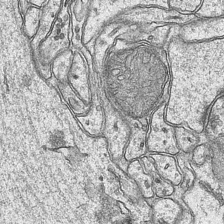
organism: Mouse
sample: CA1 Hippocampus